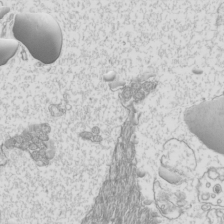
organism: Mouse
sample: Cilia; mouse epididymis